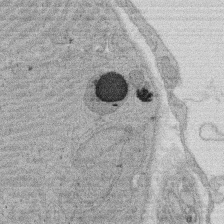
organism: Rat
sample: Salivary granule